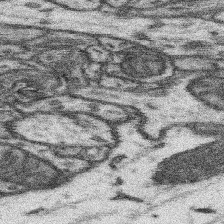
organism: Mouse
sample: Somatosensory cortex neuropil